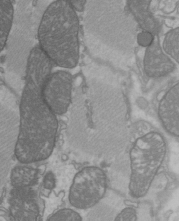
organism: C57BL Mouse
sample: Heart